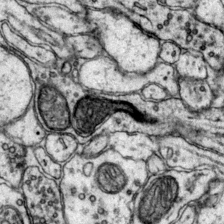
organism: Mouse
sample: Primary visual cortex